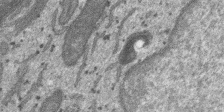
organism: Human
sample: Lung epithelial cells infected with SARS-CoV-2